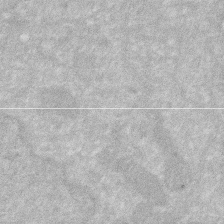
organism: Human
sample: HIV infected U937 cells